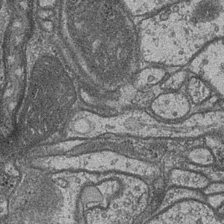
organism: Drosophila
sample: Optic medulla